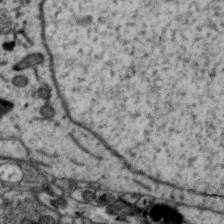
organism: Zebra finch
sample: Brain